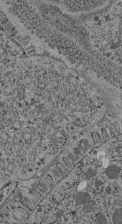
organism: C. elegans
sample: C. elegans pharynx